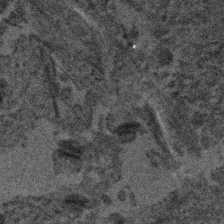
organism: Human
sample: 1205lu cells